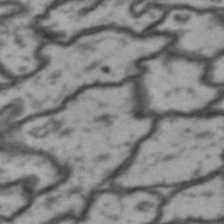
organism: Drosophila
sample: Brain